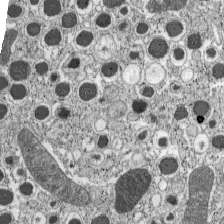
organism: C57BL Mouse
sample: Pancreatic islet